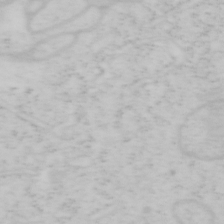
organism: Mouse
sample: OT-I killer T cells with ID8 ovarian cancer cells